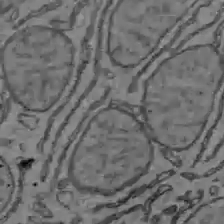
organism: C57BL Mouse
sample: Liver